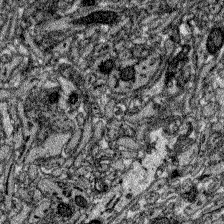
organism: Zebrafish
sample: Larval olfactory bulb